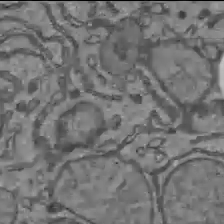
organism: C57BL Mouse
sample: Liver